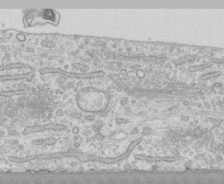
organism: Human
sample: CRL-1474